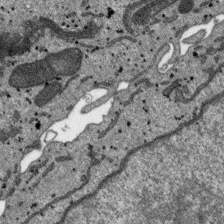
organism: Human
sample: Lung epithelial cells, uninfected (mock) control